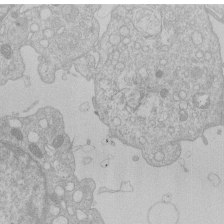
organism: Human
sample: Macrophage cells